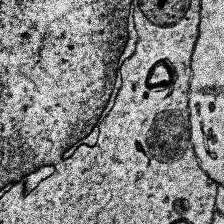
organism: Human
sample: Temporal Lobe